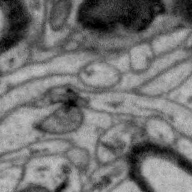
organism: Zebra finch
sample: Brain